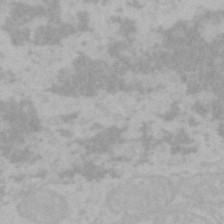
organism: Mouse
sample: Choroid plexus